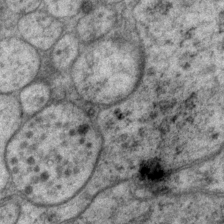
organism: P. pacificus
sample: Pharynx